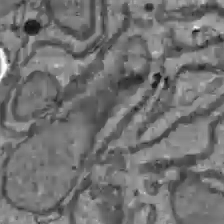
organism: C57BL Mouse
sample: Liver